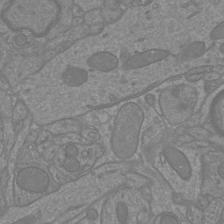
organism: Mouse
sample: Cortical neurons